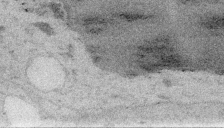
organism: Embia sp.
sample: Silk gland